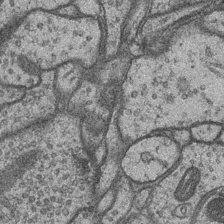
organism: Drosophila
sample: Optic medulla